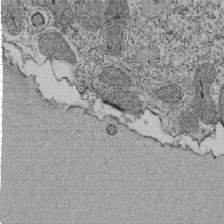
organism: Tetrahymena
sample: Cilia in tetrahymena